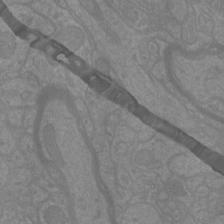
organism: Mouse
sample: Cortical neurons